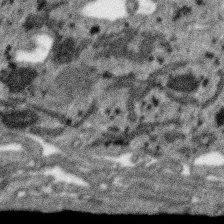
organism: Human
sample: Lung epithelial cells infected with SARS-CoV-2